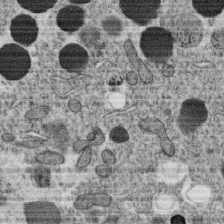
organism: C. elegans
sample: C. elegans oocyte; sperm cells